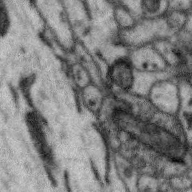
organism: Zebra finch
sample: Brain